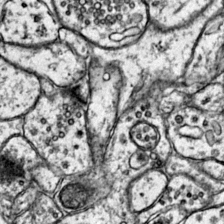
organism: Mouse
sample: Primary visual cortex